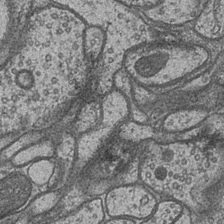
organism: Drosophila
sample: Optic medulla